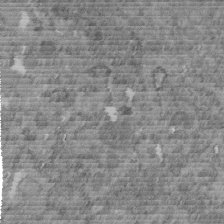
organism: C. elegans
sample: C. elegans embryo early stage